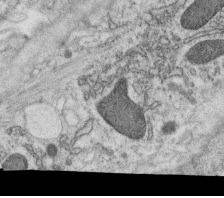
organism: C. elegans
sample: C. elegans oocyte; sperm cells